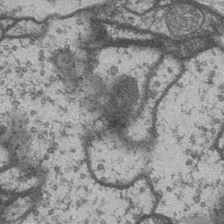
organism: Drosophila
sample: Optic medulla